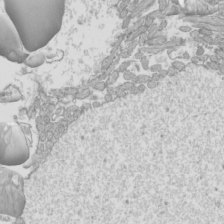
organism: Mouse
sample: Cilia; mouse epididymis